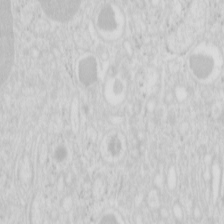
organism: Mouse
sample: Pancreas